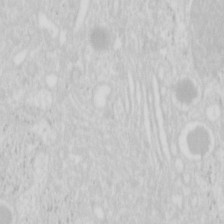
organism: Mouse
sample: Pancreas